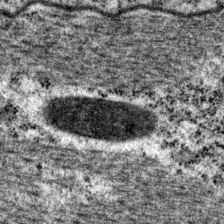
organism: P. pacificus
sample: Pharynx